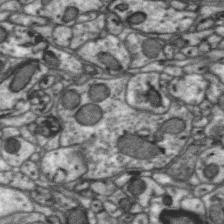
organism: Zebra finch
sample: Brain